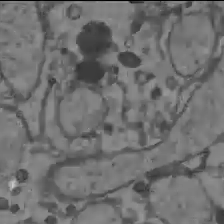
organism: C57BL Mouse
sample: Liver